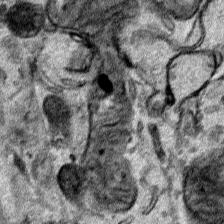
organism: Human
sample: Mitochondria in HCT116 cells